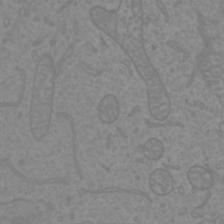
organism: Mouse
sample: Cortical neurons